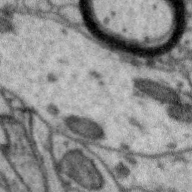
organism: Zebra finch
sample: Brain